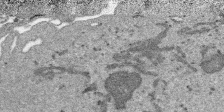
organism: Human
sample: Lung epithelial cells infected with SARS-CoV-2